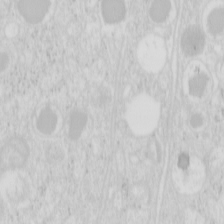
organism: Mouse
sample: Pancreas